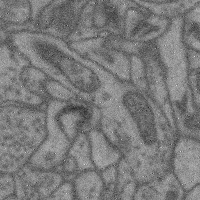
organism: Mouse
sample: Cerebral cortex